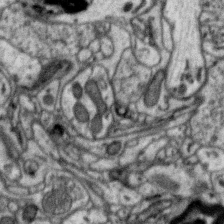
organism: Zebra finch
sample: Brain